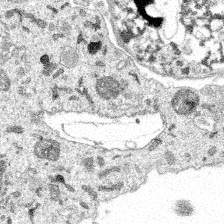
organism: Spongilla lacustris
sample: Multiple